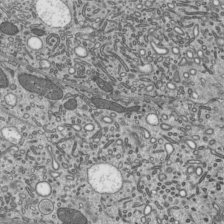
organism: Mouse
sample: Mouse epididymis efferent ductule cilia